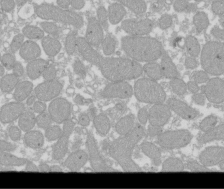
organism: Xenopus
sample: Cilia; centrioles in frog embryo cells